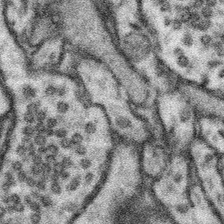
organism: Mouse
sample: Somatosensory cortex neuropil